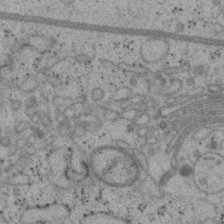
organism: Human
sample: HeLa cells